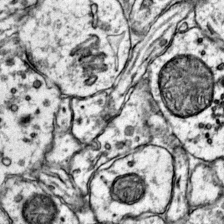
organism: Mouse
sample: Primary visual cortex